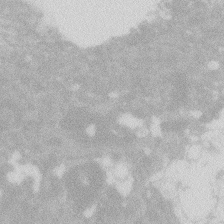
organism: Zebrafish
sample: Macrophage